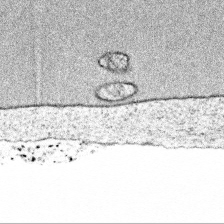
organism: Human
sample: HeLa cells